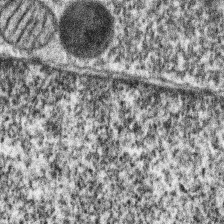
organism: Human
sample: HeLa cells